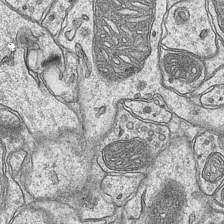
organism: Mouse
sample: CA1 Hippocampus